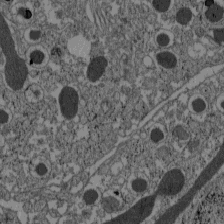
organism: C57BL Mouse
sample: Pancreatic islet